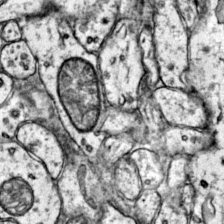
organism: Mouse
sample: Primary visual cortex